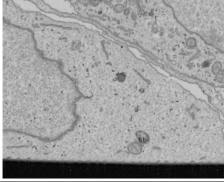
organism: Human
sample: Mitochondria in U2OS cells